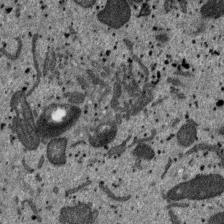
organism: Human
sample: Lung epithelial cells, uninfected (mock) control